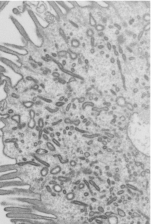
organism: Mouse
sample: Mouse epididymis efferent ductule cilia